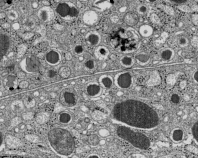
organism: C57BL Mouse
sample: Pancreatic islet